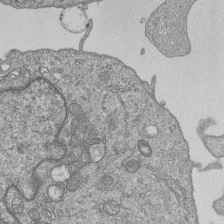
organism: Human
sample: MDA-MB-231 cells